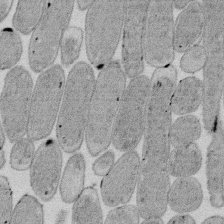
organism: E. coli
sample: Bacterial nucleoid